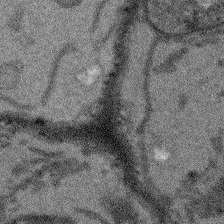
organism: Arabidopsis thaliana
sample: Root tip